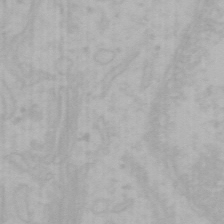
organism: Mouse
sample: Choroid plexus